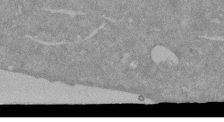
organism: Mouse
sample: ED-1 cell nuclei; centrioles